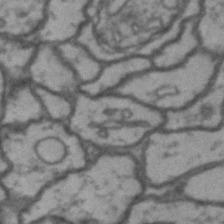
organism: Drosophila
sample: Brain